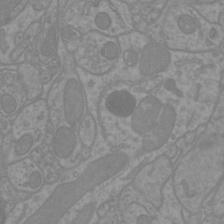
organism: Mouse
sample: Cortical neurons